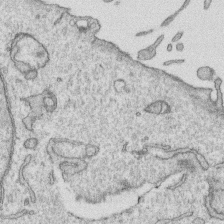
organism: Human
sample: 1205lu cells